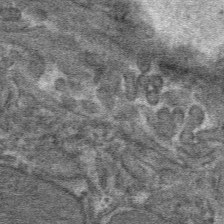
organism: Mouse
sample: Mouse hepatocytes